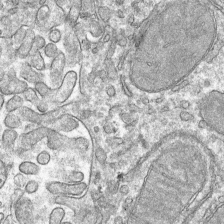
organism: Mouse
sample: Mouse hepatocytes